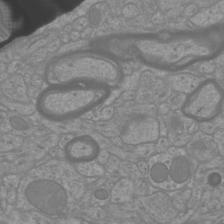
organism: Mouse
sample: Cortical neurons